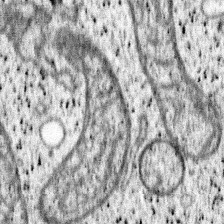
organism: Human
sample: HeLa cells